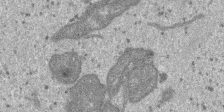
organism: Human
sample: Lung epithelial cells infected with SARS-CoV-2